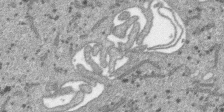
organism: Human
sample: Lung epithelial cells infected with SARS-CoV-2